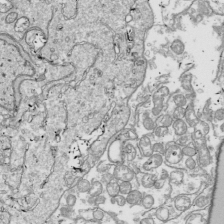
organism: Drosophila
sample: Cell division; meiosis; drosophila spermatocytes